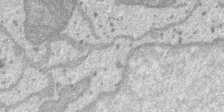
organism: Human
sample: Lung epithelial cells infected with SARS-CoV-2